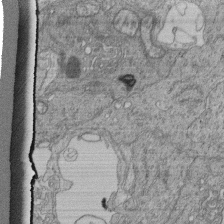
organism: Human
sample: Retinal organoid Rod and Cone cells